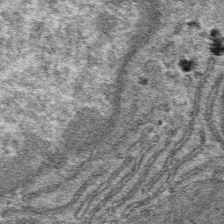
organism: Mouse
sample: Mouse hepatocytes